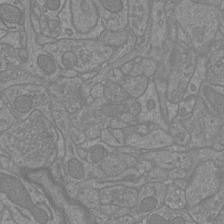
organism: Mouse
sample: Cortical neurons